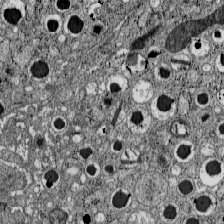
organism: C57BL Mouse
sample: Pancreatic islet